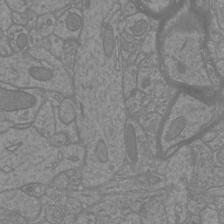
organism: Mouse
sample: Cortical neurons